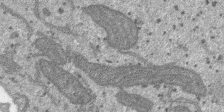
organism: Human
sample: Lung epithelial cells infected with SARS-CoV-2